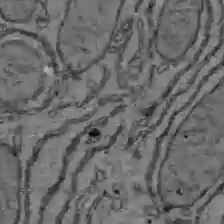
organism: C57BL Mouse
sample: Liver